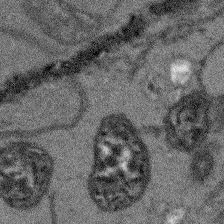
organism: Arabidopsis thaliana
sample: Root tip